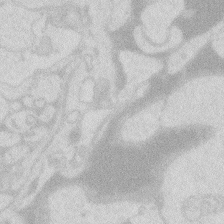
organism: Zebrafish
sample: Macrophage